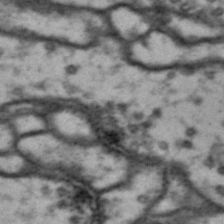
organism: Drosophila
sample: Brain